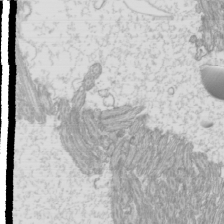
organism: Mouse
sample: Cilia; mouse epididymis